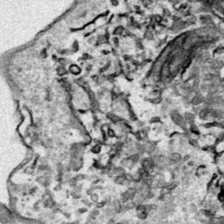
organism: Human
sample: Mitochondria in HCT116 cells